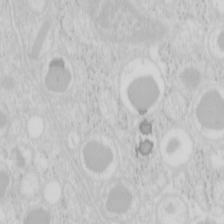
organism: Mouse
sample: Pancreas